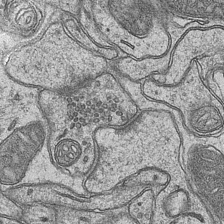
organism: Mouse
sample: CA1 Hippocampus